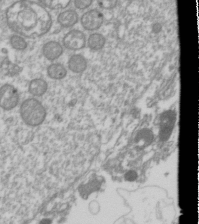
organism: Drosophila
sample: Cell division; meiosis; drosophila spermatocytes